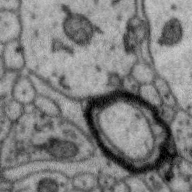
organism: Zebra finch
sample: Brain